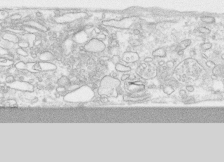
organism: Human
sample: CRL-1474